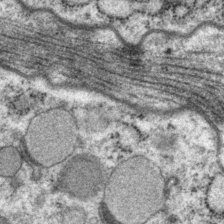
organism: P. pacificus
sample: Pharynx